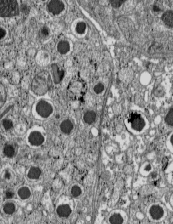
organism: C57BL Mouse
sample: Pancreatic islet